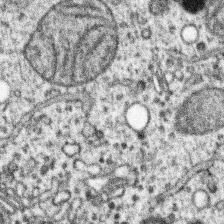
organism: Human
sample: HeLa cells